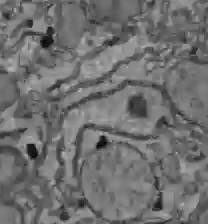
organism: C57BL Mouse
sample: Liver